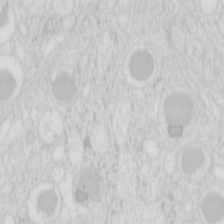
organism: Mouse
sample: Pancreas